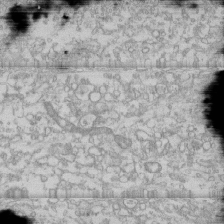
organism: Human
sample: CRL-1474